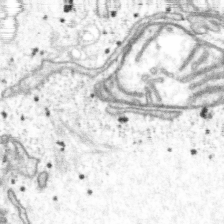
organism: Human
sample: HeLa cells